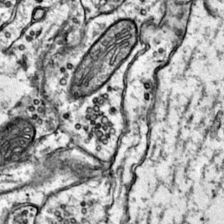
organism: Mouse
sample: Primary visual cortex